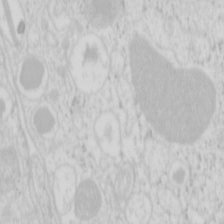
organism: Mouse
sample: Pancreas